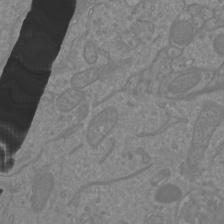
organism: Mouse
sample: Cortical neurons